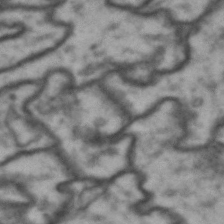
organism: Drosophila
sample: Brain